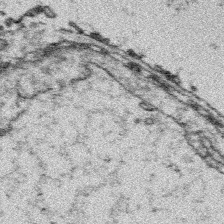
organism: Platynereis dumerilii